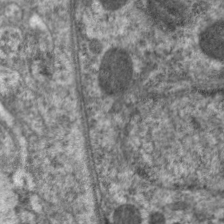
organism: C. elegans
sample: Pharynx